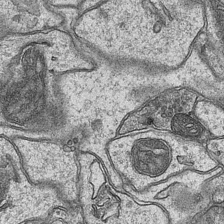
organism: Mouse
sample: CA1 Hippocampus